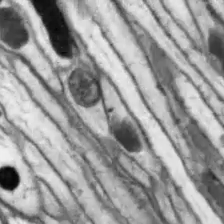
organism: Drosophila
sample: Optic lobe